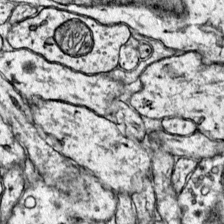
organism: Mouse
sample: Primary visual cortex